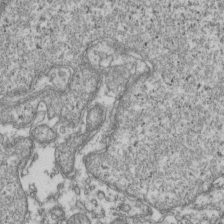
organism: Human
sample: Activated Jurkat CD4+ T cells